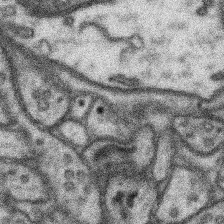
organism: Mouse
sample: Somatosensory cortex neuropil